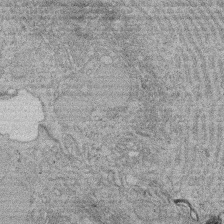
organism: Rat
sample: Salivary granule